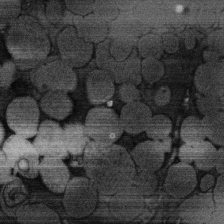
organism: Rat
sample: Salivary granule